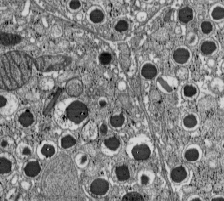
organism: C57BL Mouse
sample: Pancreatic islet